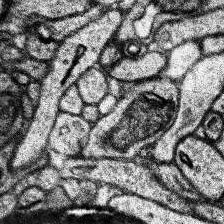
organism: Human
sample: Temporal Lobe